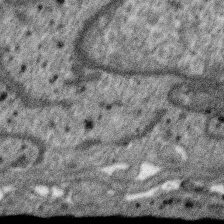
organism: Human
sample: Lung epithelial cells infected with SARS-CoV-2